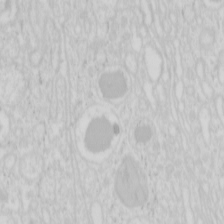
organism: Mouse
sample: Pancreas